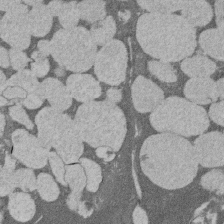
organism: Rat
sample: Salivary granule